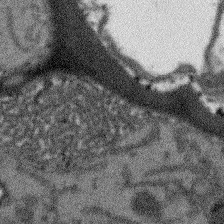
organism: Arabidopsis thaliana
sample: Root tip